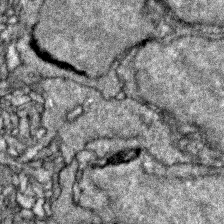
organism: Zebrafish